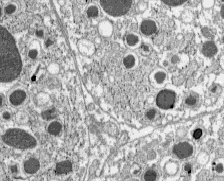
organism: C57BL Mouse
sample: Pancreatic islet